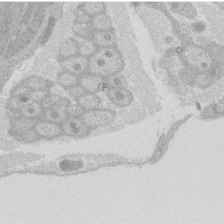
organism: Rat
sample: Salivary granule